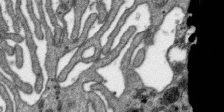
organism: Human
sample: Lung epithelial cells, uninfected (mock) control